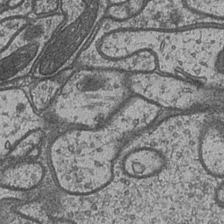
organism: Drosophila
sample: Optic medulla